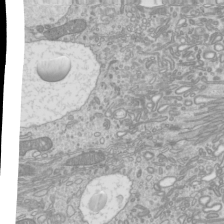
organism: Mouse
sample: Cilia; mouse epididymis